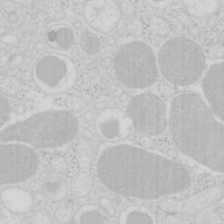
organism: Mouse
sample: Pancreas